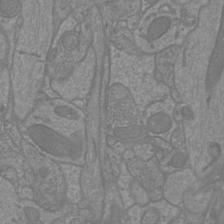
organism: Mouse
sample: Cortical neurons